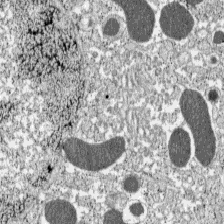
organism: C57BL Mouse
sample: Pancreatic islet